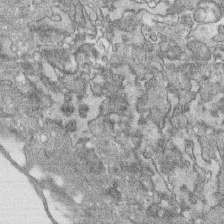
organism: Human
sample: CRL-1474